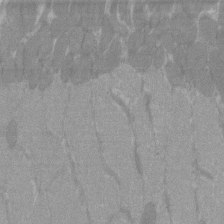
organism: C57BL Mouse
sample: Tibialis anterior muscle cell